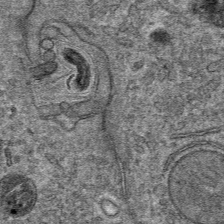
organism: Mouse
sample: Mouse hepatocytes